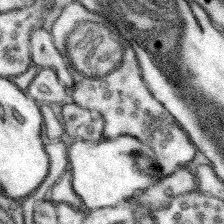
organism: Mouse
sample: Somatosensory cortex neuropil